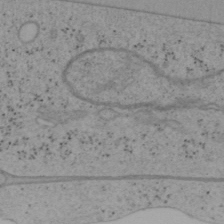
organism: Human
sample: HeLa cells